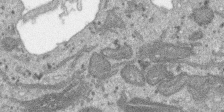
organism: Human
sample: Lung epithelial cells infected with SARS-CoV-2